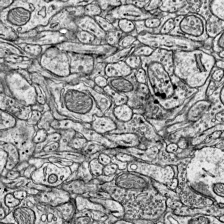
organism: Mouse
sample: Visual Cortex